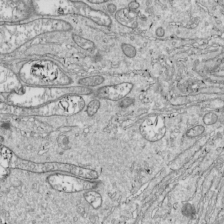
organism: Drosophila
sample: Cell division; meiosis; drosophila spermatocytes